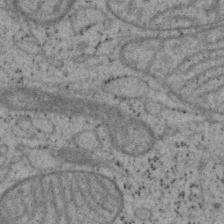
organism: Human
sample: HeLa cells